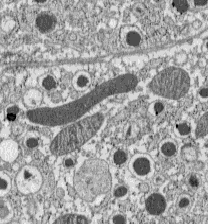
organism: C57BL Mouse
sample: Pancreatic islet